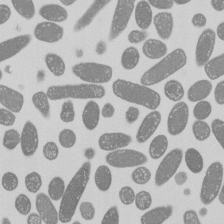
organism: E. coli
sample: Bacterial nucleoid